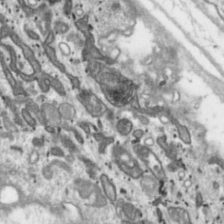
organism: Toxoplasma gondii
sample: Parasites in a vacuole inside a host cell